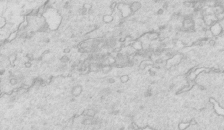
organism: Mouse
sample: Multiciliated cells